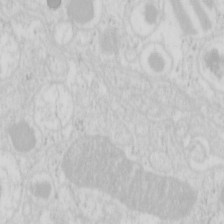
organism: Mouse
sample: Pancreas